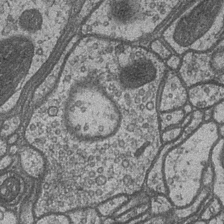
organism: Drosophila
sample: Optic medulla